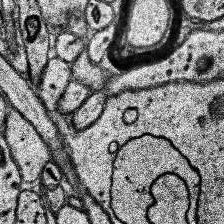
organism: Human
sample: Temporal Lobe